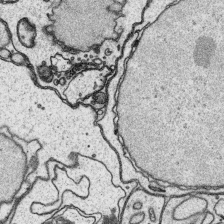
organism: Platynereis dumerilii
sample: Parapodia